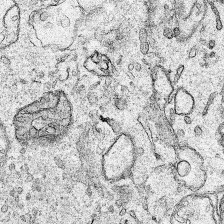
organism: Human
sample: Mitochondria in HCT116 cells